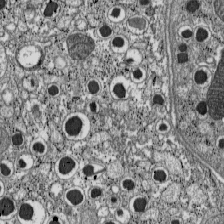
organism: C57BL Mouse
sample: Pancreatic islet